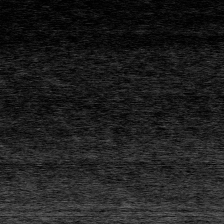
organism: Human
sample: HeLa cells